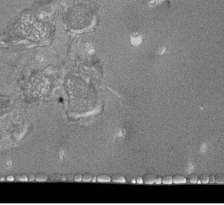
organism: Tetrahymena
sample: Cilia in tetrahymena